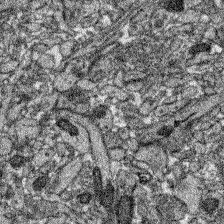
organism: Zebrafish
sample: Larval olfactory bulb